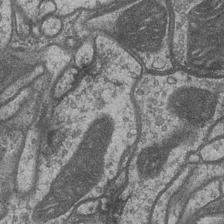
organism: Drosophila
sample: Optic medulla